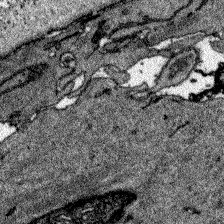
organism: Zebrafish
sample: Larval olfactory bulb